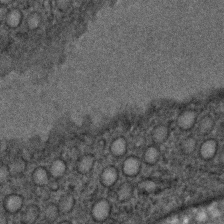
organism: C. elegans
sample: C. elegans embryo